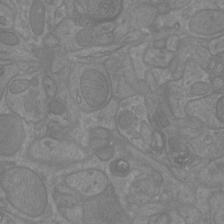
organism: Mouse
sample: Cortical neurons